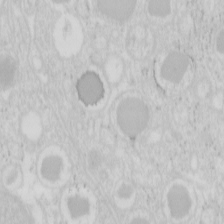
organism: Mouse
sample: Pancreas